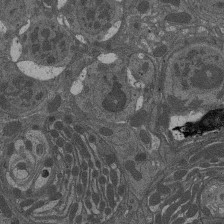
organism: Drosophila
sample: Antenna